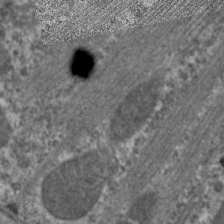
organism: C. elegans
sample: Pharynx